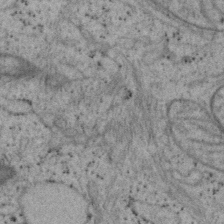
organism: Human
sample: HeLa cells